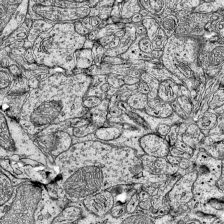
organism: Mouse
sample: Visual Cortex